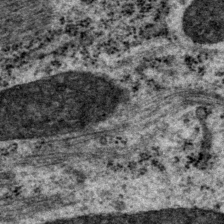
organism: P. pacificus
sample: Pharynx